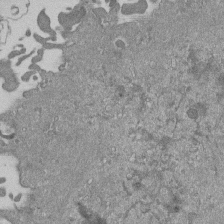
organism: Mouse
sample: ED-1 cell nuclei; centrioles